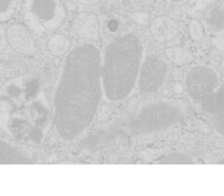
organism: Mouse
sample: Pancreas